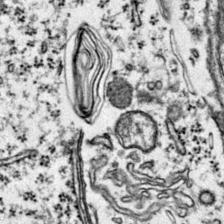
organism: Mouse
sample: Primary visual cortex